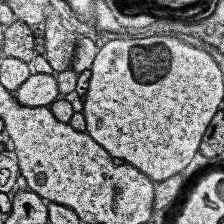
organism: Human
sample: Temporal Lobe